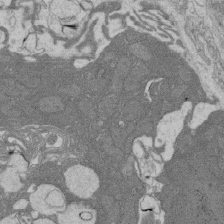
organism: Rat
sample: Salivary granule